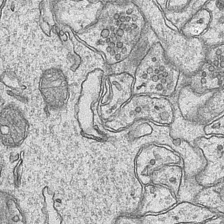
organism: Mouse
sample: CA1 Hippocampus